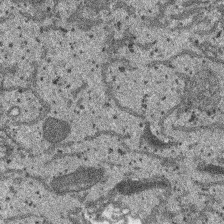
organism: Human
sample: Lung epithelial cells infected with SARS-CoV-2